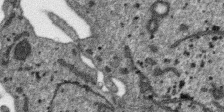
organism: Human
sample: Lung epithelial cells infected with SARS-CoV-2